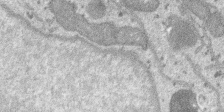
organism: Human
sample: Lung epithelial cells infected with SARS-CoV-2